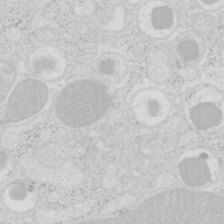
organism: Mouse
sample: Pancreas